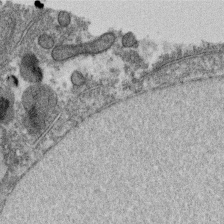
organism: C. elegans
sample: C. elegans oocyte; sperm cells